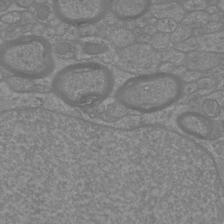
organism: Mouse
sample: Cortical neurons